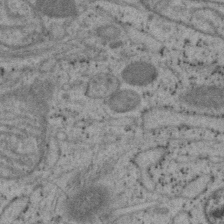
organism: Human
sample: HeLa cells